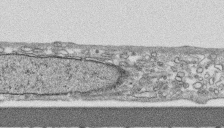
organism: Human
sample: CRL-1474